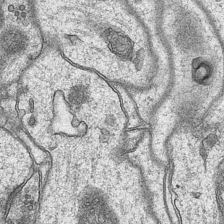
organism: Mouse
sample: CA1 Hippocampus